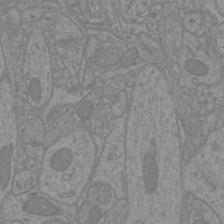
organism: Mouse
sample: Cortical neurons